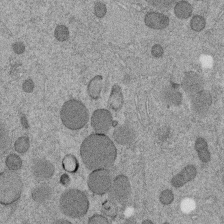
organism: C. elegans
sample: C. elegans embryo early stage